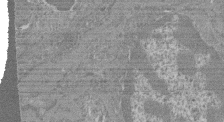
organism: Mouse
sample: Glomerulus